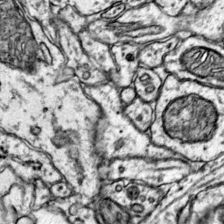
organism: Mouse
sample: Primary visual cortex